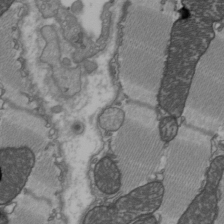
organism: C57BL Mouse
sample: Heart